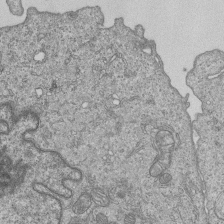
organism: Human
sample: MDA-MB-231 cells